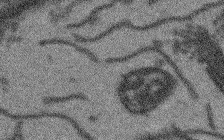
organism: Arabidopsis thaliana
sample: Root tip